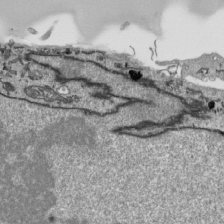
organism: Human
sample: Mitochondria in HCT116 cells